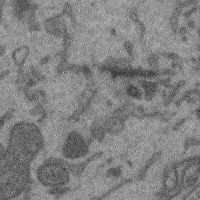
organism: Mouse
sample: Cerebral cortex